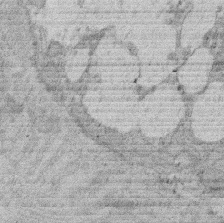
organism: Rat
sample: Salivary granule